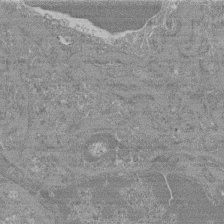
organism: Mouse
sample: Glomerulus